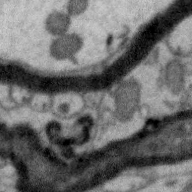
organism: Zebra finch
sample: Brain